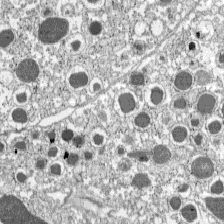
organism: C57BL Mouse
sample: Pancreatic islet